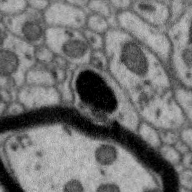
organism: Zebra finch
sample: Brain